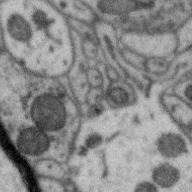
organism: Zebra finch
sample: Brain